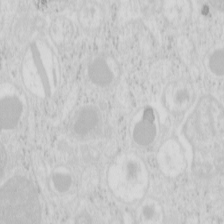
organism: Mouse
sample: Pancreas